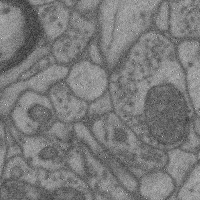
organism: Mouse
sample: Cerebral cortex